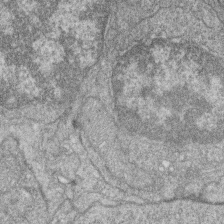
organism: Zebrafish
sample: Cilia; retinal pigment epithelium